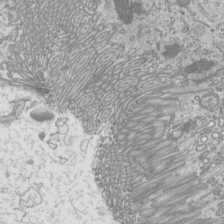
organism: Mouse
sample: Cilia; mouse epididymis